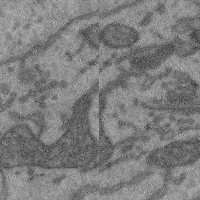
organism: Mouse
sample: Cerebral cortex